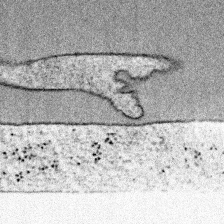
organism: Human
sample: HeLa cells